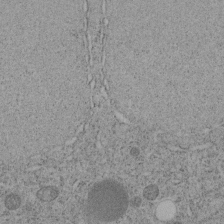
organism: C. elegans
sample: C. elegans embryo early stage